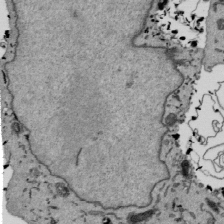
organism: Mouse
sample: ED-1 cell nuclei; centrioles